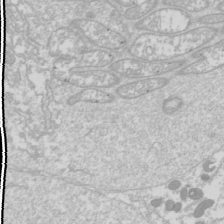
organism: Drosophila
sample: Cell division; meiosis; drosophila spermatocytes